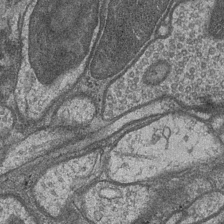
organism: Drosophila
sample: Optic medulla